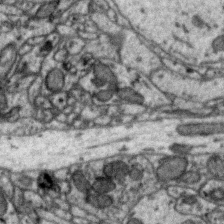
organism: Zebra finch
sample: Brain